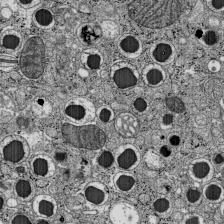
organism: C57BL Mouse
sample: Pancreatic islet